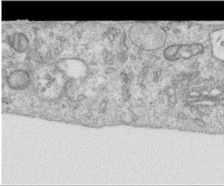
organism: Human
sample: Centriole in RPE cells